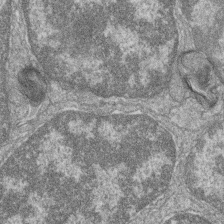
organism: Zebrafish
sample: Cilia; retinal pigment epithelium